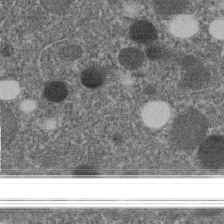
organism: C. elegans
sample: C. elegans embryo early stage